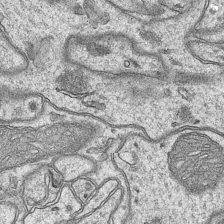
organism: Mouse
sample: CA1 Hippocampus